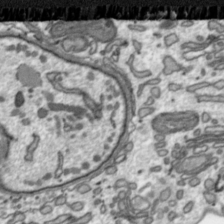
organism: Toxoplasma gondii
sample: Parasites in a vacuole inside a host cell